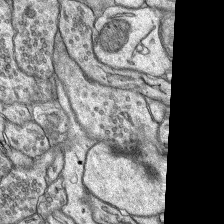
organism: Rat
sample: Hippocampus